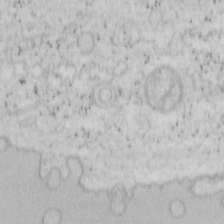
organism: Human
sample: HeLa cells